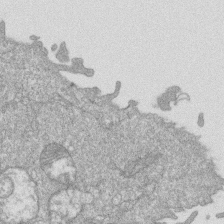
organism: Human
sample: HeLa cell HIV synapse